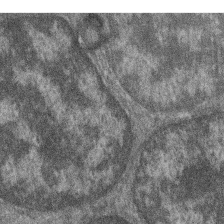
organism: Zebrafish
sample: Cilia; retinal pigment epithelium